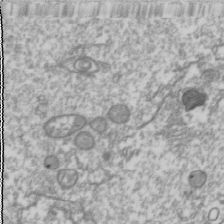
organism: Drosophila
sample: Cell division; meiosis; drosophila spermatocytes